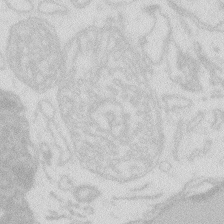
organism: Zebrafish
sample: Macrophage